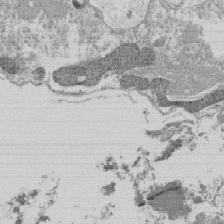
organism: Tetrahymena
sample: Cilia in tetrahymena